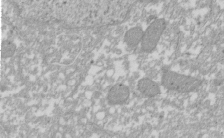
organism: Xenopus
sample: Cilia; centrioles in frog embryo cells